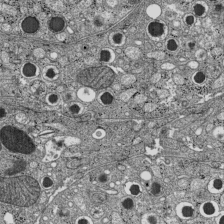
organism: C57BL Mouse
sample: Pancreatic islet